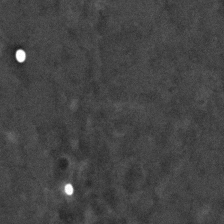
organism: C. elegans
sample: C. elegans embryo